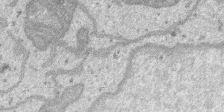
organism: Human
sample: Lung epithelial cells infected with SARS-CoV-2